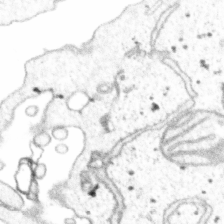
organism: Human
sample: HeLa cells